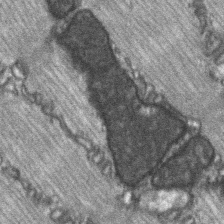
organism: C57BL Mouse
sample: Soleus